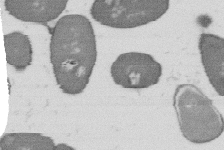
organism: B. subtilis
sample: Bacterial spore